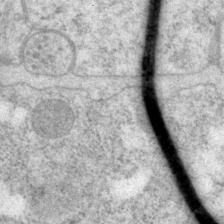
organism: P. pacificus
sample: Pharynx